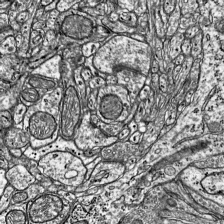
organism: Mouse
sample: Visual Cortex